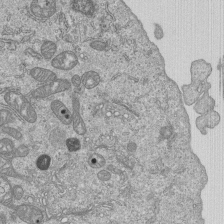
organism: Human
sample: MDA-MB-231 cells